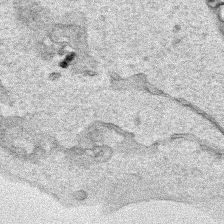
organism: Human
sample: Mitochondria in HCT116 cells